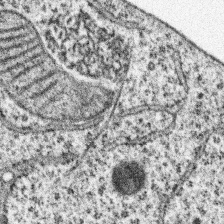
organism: Human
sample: HeLa cells